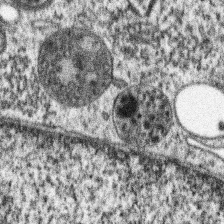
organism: Human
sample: HeLa cells